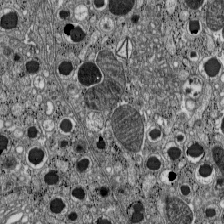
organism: C57BL Mouse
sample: Pancreatic islet